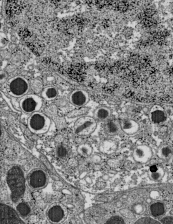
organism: C57BL Mouse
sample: Pancreatic islet